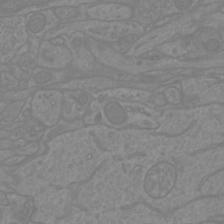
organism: Mouse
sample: Cortical neurons